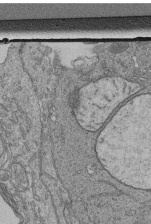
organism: Human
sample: Retinal organoid Rod and Cone cells